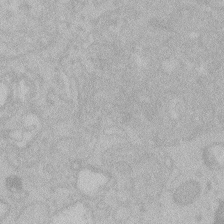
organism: Zebrafish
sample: Macrophage infected with Toxoplasma gondii